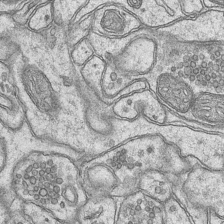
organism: Mouse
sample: CA1 Hippocampus